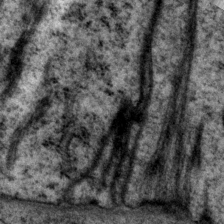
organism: P. pacificus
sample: Pharynx